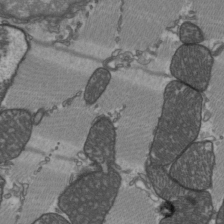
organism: C57BL Mouse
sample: Heart